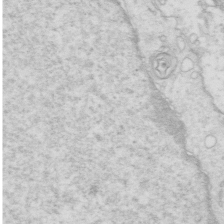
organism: Mouse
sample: Multiciliated cells